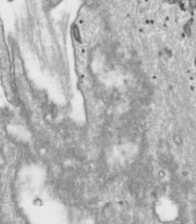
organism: Toxoplasma gondii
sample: Parasites in a vacuole inside a host cell